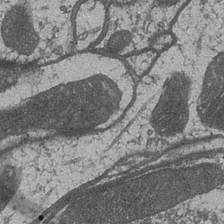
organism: Drosophila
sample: Optic medulla